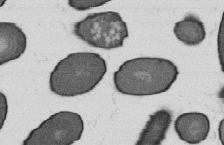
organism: B. subtilis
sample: Bacterial spore